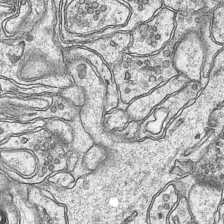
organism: Mouse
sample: CA1 Hippocampus